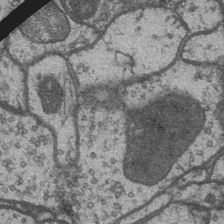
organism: Drosophila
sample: Optic medulla